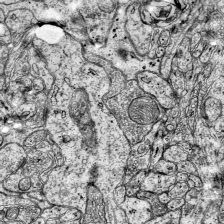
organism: Mouse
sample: Visual Cortex